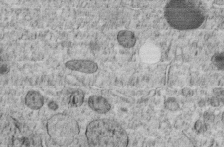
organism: C. elegans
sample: C. elegans embryo early stage